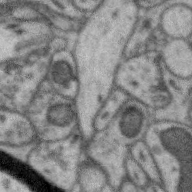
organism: Zebra finch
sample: Brain